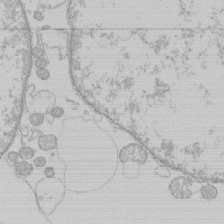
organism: Human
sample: Macrophage cells